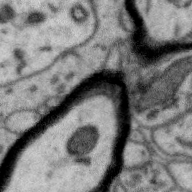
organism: Zebra finch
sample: Brain